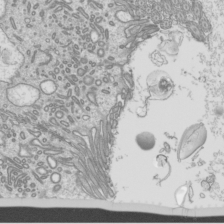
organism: Mouse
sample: Cilia; mouse epididymis